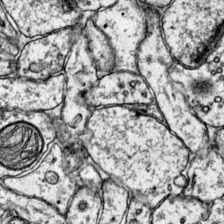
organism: Mouse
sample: Primary visual cortex